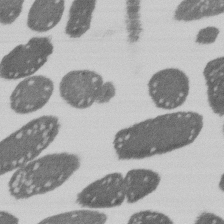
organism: E. coli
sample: Bacterial nucleoid